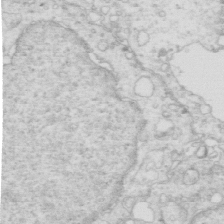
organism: Mouse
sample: Multiciliated cells